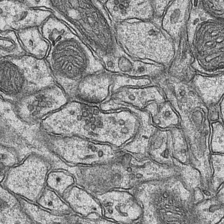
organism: Mouse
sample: CA1 Hippocampus